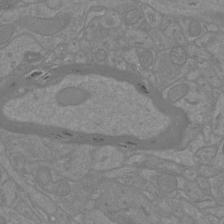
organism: Mouse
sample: Cortical neurons